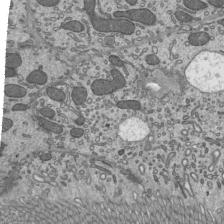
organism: Mouse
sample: Mouse epididymis efferent ductule cilia